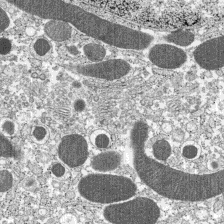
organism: C57BL Mouse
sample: Pancreatic islet